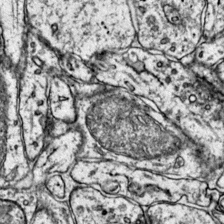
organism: Mouse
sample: Primary visual cortex